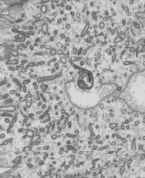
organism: Mouse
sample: Mouse epididymis efferent ductule cilia